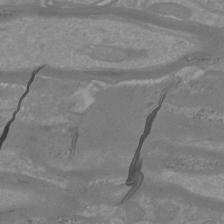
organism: Mouse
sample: Cortical neurons